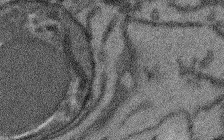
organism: Arabidopsis thaliana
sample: Root tip